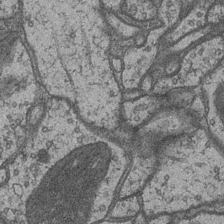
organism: Drosophila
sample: Optic medulla